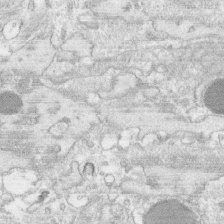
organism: Human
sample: CRL-1474